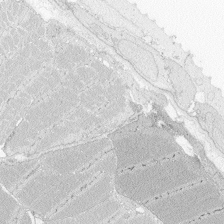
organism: Zebrafish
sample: Whole-Brain